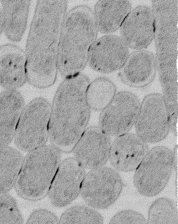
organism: E. coli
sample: Bacterial nucleoid